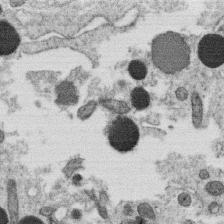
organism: C. elegans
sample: C. elegans oocyte; sperm cells